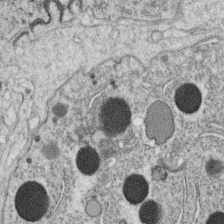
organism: C. elegans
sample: C. elegans oocyte; sperm cells